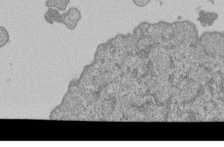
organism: Human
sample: MDA-MB-231 cells